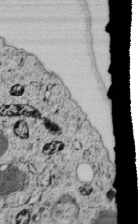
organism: C. elegans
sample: C. elegans embryo early stage